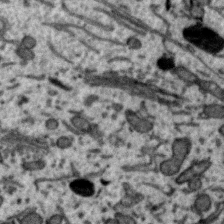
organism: Zebra finch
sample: Brain